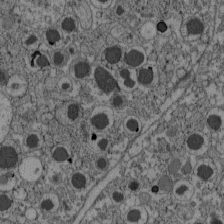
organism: C57BL Mouse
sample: Pancreatic islet